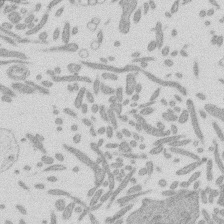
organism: Mouse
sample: Dividing mouse embryo 1 cell stage